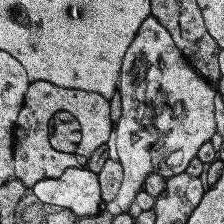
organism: Human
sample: Temporal Lobe